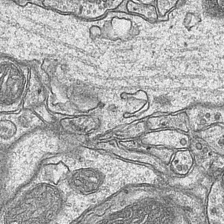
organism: Mouse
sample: CA1 Hippocampus